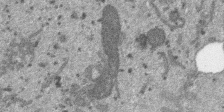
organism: Human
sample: Lung epithelial cells infected with SARS-CoV-2